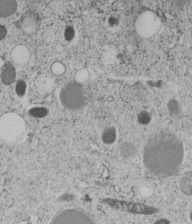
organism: C. elegans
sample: C. elegans embryo early stage